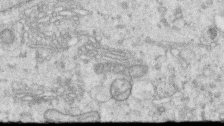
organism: Human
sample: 1205lu cells